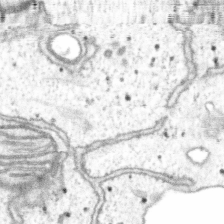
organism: Human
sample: HeLa cells